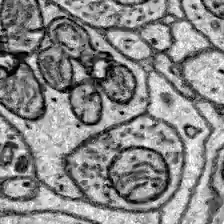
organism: Zebrafish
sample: Brain